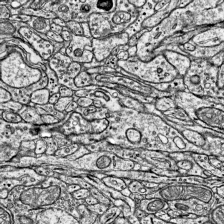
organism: Mouse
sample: Visual Cortex